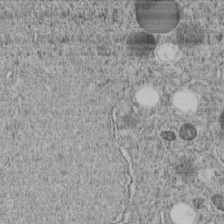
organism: C. elegans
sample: C. elegans embryo early stage